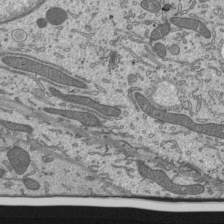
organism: Mouse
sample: Mouse epididymis efferent ductule cilia